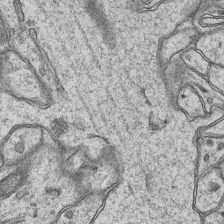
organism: Mouse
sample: CA1 Hippocampus